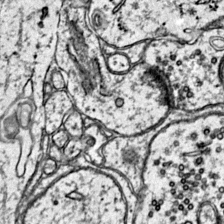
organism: Mouse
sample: Primary visual cortex